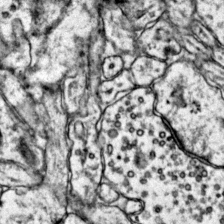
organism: Mouse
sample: Primary visual cortex